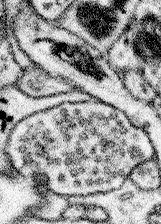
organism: Mouse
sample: Somatosensory cortex neuropil